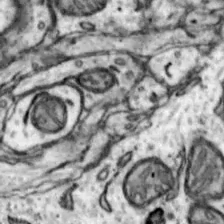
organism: Mouse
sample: Nucleus accumbens